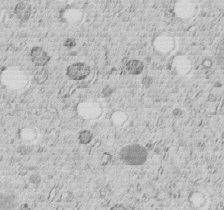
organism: C. elegans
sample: C. elegans embryo early stage